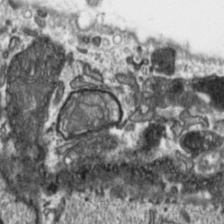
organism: Toxoplasma gondii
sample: Parasites in a vacuole inside a host cell